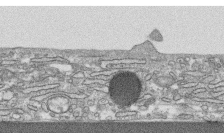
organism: Human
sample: CRL-1474